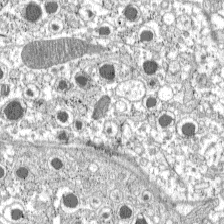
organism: C57BL Mouse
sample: Pancreatic islet